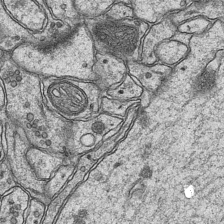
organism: Mouse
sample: CA1 Hippocampus